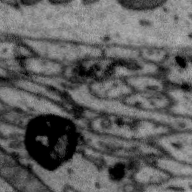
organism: Zebra finch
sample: Brain